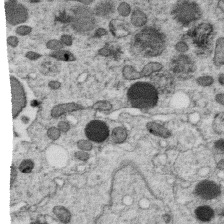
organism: C. elegans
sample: C. elegans oocyte; sperm cells